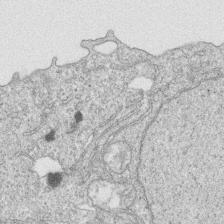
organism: Human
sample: HeLa cell HIV synapse